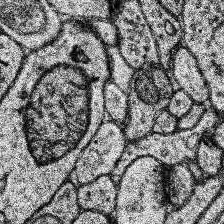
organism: Human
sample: Temporal Lobe